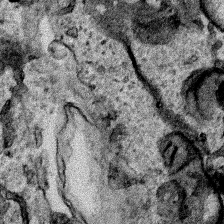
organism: Human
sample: Mitochondria in HCT116 cells